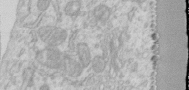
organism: Human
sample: Centriole in RPE cells